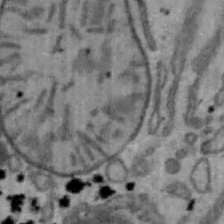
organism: Mouse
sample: Liver